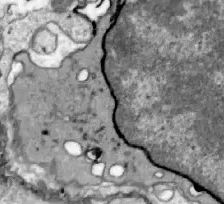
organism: Zebrafish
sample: Actinotrichia fibers